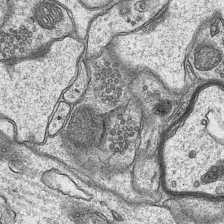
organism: Mouse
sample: CA1 Hippocampus